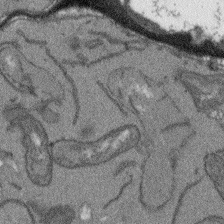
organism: Arabidopsis thaliana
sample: Root tip